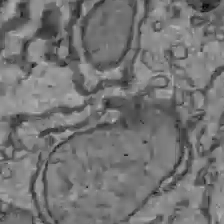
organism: C57BL Mouse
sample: Liver